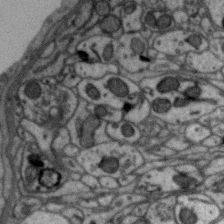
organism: Zebra finch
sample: Brain